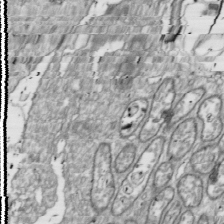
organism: Drosophila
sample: Cell division; meiosis; drosophila spermatocytes